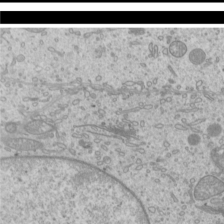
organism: Mouse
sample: Cilia; mouse epididymis